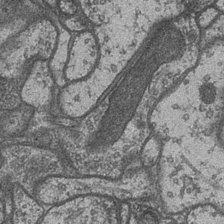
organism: Drosophila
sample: Optic medulla